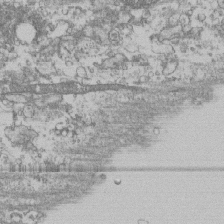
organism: Human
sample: Fibroblast cells